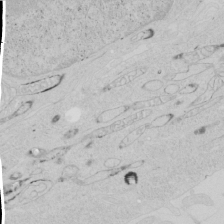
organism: Human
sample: Mitochondria in HCT116 cells